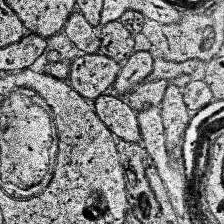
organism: Human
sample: Temporal Lobe